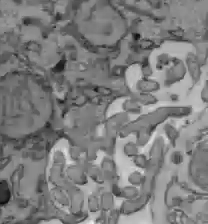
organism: C57BL Mouse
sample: Liver